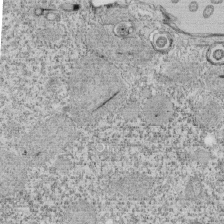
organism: Tetrahymena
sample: Cilia in tetrahymena